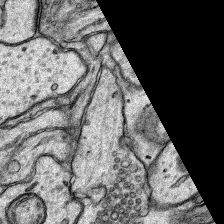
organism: Rat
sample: Hippocampus